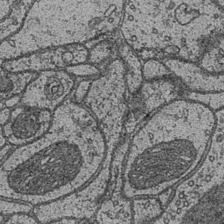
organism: Drosophila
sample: Optic medulla